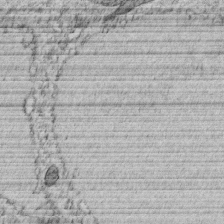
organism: C. elegans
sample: C. elegans embryo early stage